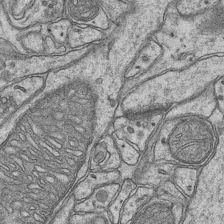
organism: Mouse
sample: CA1 Hippocampus